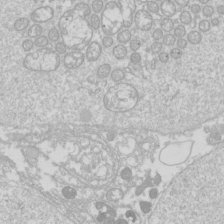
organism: Drosophila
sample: Cell division; meiosis; drosophila spermatocytes